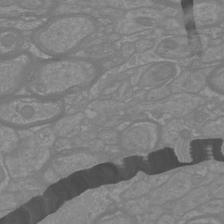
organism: Mouse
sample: Cortical neurons